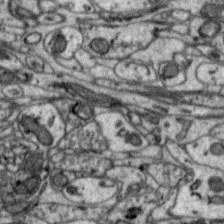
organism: Zebra finch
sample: Brain